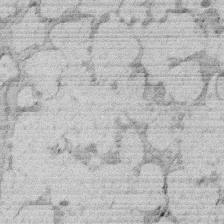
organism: Rat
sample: Salivary granule